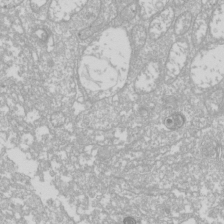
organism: Drosophila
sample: Cell division; meiosis; drosophila spermatocytes